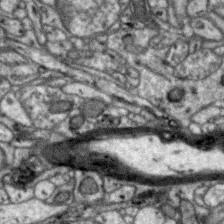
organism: Zebra finch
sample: Brain